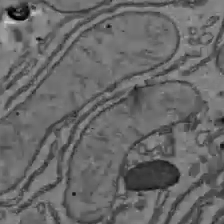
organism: C57BL Mouse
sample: Liver